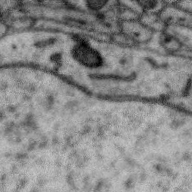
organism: Zebra finch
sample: Brain